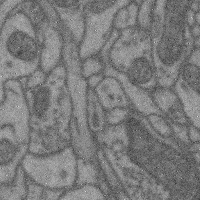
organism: Mouse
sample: Cerebral cortex